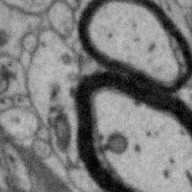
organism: Zebra finch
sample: Brain